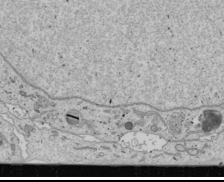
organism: Human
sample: Mitochondria in U2OS cells